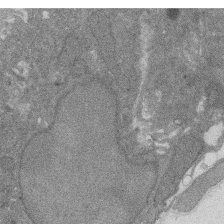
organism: Rat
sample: Salivary granule